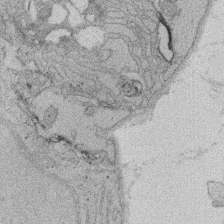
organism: Rat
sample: Salivary granule